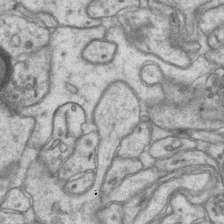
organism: Mouse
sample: CA1 Hippocampus